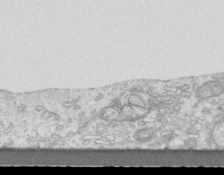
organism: Mouse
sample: Centriole in ependymal cells